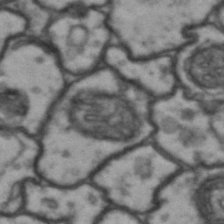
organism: Drosophila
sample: Brain